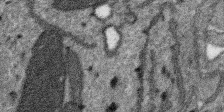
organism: Human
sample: Lung epithelial cells infected with SARS-CoV-2